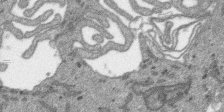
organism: Human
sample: Lung epithelial cells infected with SARS-CoV-2